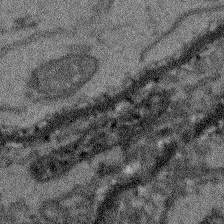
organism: Arabidopsis thaliana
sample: Root tip